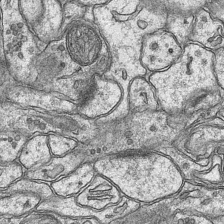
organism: Mouse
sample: CA1 Hippocampus